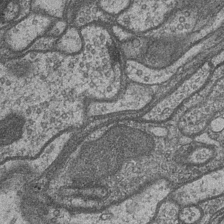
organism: Drosophila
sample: Optic medulla